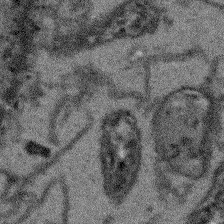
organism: Arabidopsis thaliana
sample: Root tip